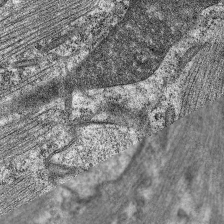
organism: C. elegans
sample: Pharynx